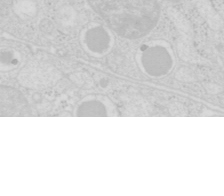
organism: Mouse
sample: Pancreas